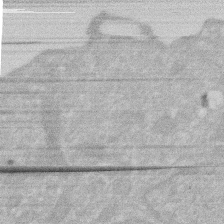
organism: Human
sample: HIV infected U937 cells